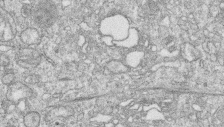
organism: Human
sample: HeLa cell HIV synapse